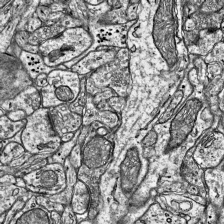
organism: Mouse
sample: Visual Cortex